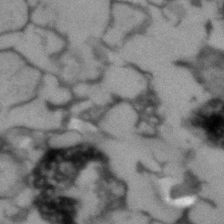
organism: Human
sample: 1205lu cells